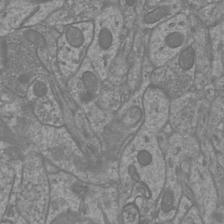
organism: Mouse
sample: Cortical neurons